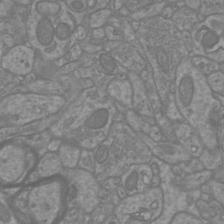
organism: Mouse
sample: Cortical neurons